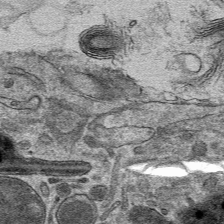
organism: Mouse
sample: Mouse hepatocytes